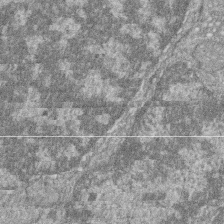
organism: Zebrafish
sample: Cilia; retinal pigment epithelium